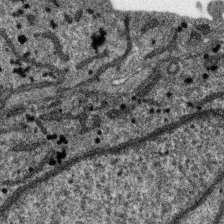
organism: Human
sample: Lung epithelial cells infected with SARS-CoV-2